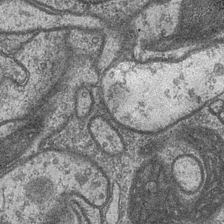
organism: Drosophila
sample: Optic medulla